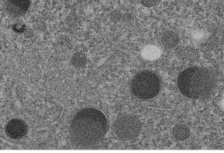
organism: C. elegans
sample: C. elegans embryo early stage